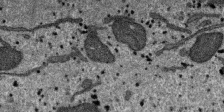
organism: Human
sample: Lung epithelial cells, uninfected (mock) control